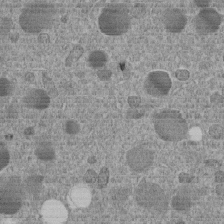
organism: C. elegans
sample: C. elegans embryo early stage